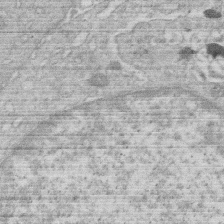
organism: Human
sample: Macrophage cells